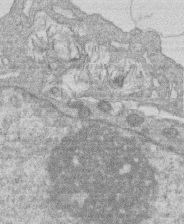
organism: Human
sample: Macrophage cells